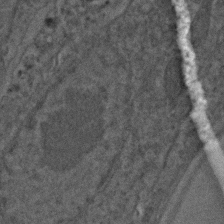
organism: C. elegans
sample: C. elegans embryo